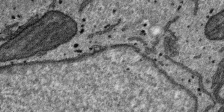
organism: Human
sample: Lung epithelial cells, uninfected (mock) control